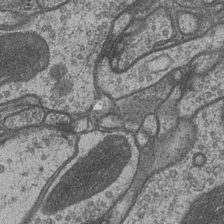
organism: Drosophila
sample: Optic medulla